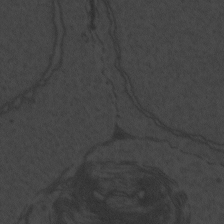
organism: Zebrafish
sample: Macrophage infected with Toxoplasma gondii